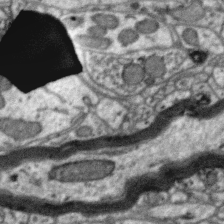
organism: Zebra finch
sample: Brain